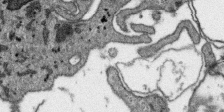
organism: Human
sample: Lung epithelial cells, uninfected (mock) control